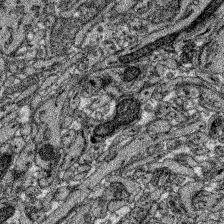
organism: Zebrafish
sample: Larval olfactory bulb